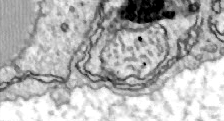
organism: Zebrafish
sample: Actinotrichia fibers